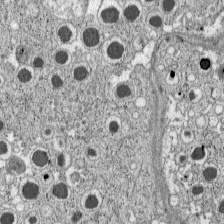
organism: C57BL Mouse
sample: Pancreatic islet